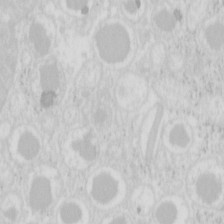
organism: Mouse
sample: Pancreas